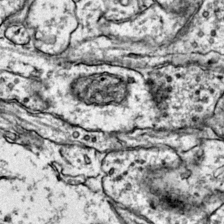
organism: Mouse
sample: Primary visual cortex